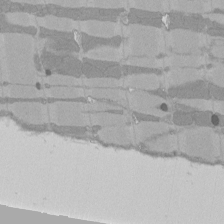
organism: Rat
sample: Left ventricle